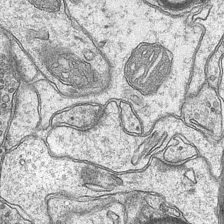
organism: Mouse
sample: CA1 Hippocampus